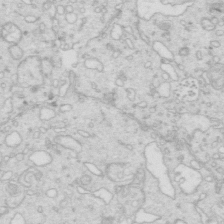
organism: Mouse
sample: Multiciliated cells